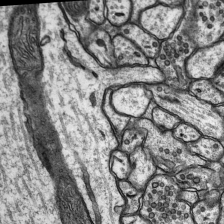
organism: Rat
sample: Hippocampus